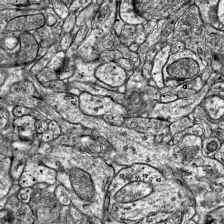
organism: Mouse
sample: Visual Cortex